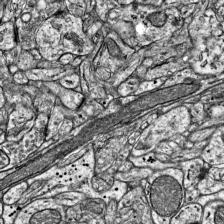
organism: Mouse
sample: Visual Cortex